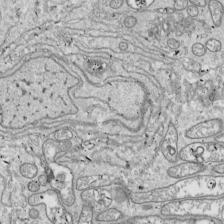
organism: Drosophila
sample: Cell division; meiosis; drosophila spermatocytes